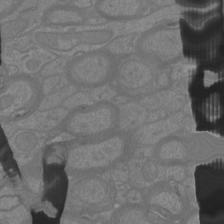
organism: Mouse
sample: Cortical neurons